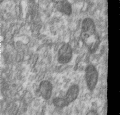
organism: Human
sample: Centriole in RPE cells